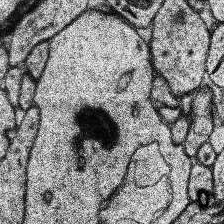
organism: Human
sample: Temporal Lobe